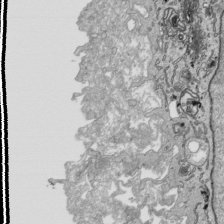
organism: Human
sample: Mitochondria in HCT116 cells